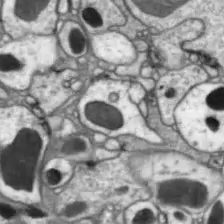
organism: Drosophila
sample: Optic lobe